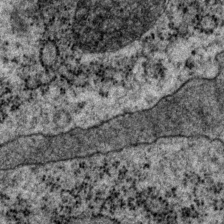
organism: P. pacificus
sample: Pharynx